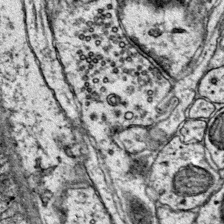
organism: Mouse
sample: Primary visual cortex